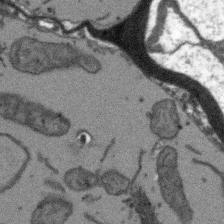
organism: Arabidopsis thaliana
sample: Root tip